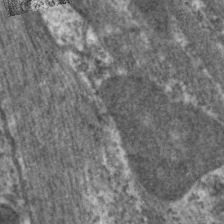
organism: C. elegans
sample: Pharynx